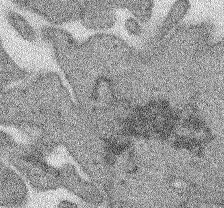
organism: Human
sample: HeLa cells